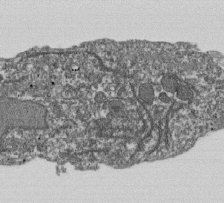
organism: Dictyostelium discoideum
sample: Dictyostelium multivesicular bodies